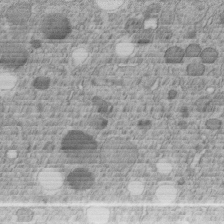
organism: C. elegans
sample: C. elegans embryo early stage